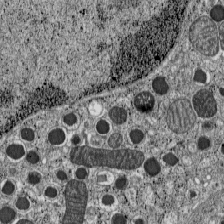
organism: C57BL Mouse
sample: Pancreatic islet